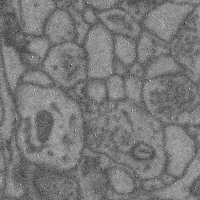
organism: Mouse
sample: Cerebral cortex